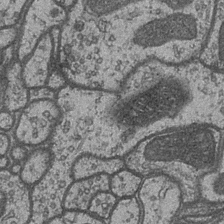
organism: Drosophila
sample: Optic medulla